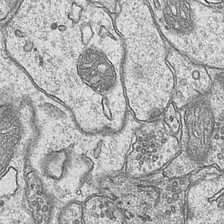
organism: Mouse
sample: CA1 Hippocampus